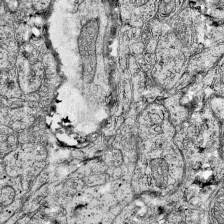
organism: Mouse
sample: Visual Cortex